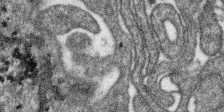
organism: Human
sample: Lung epithelial cells infected with SARS-CoV-2